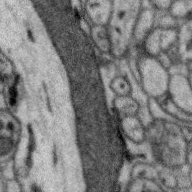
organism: Zebra finch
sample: Brain